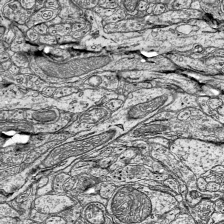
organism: Mouse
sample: Visual Cortex